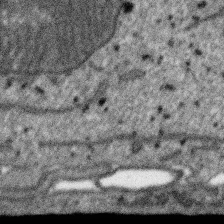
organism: Human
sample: Lung epithelial cells infected with SARS-CoV-2